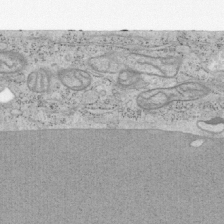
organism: Human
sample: HeLa cells